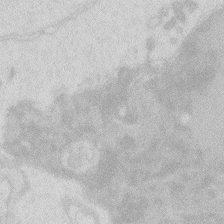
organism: Zebrafish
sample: Macrophage